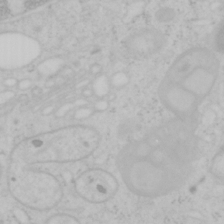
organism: Mouse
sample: OT-I killer T cells with ID8 ovarian cancer cells